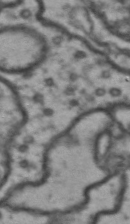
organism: Drosophila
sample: Brain